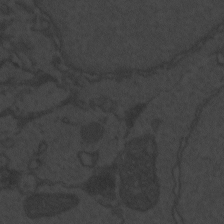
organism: Zebrafish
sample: Macrophage infected with Toxoplasma gondii